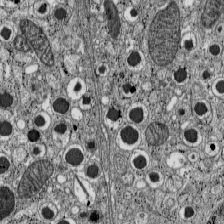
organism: C57BL Mouse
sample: Pancreatic islet